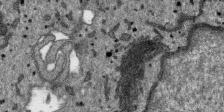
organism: Human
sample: Lung epithelial cells, uninfected (mock) control